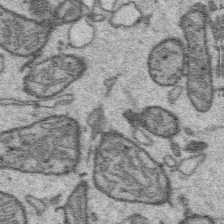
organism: Platynereis dumerilii